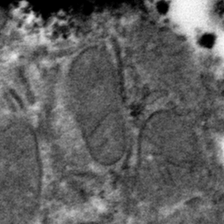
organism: Mouse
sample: Mouse hepatocytes